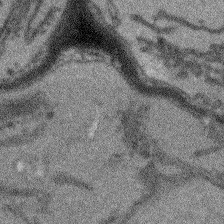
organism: Arabidopsis thaliana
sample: Root tip